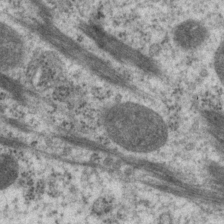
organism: P. pacificus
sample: Pharynx